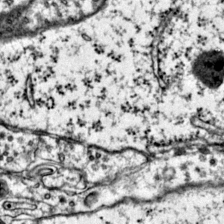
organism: Mouse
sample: Primary visual cortex